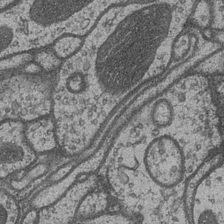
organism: Drosophila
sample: Optic medulla